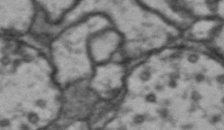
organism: Drosophila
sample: Brain